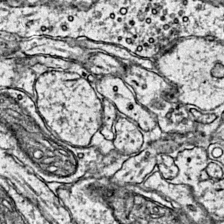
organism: Mouse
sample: Primary visual cortex